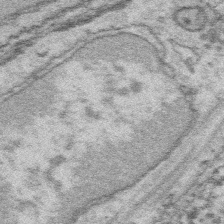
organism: Platynereis dumerilii